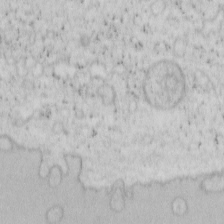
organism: Human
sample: HeLa cells